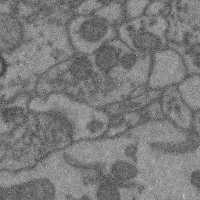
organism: Mouse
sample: Cerebral cortex